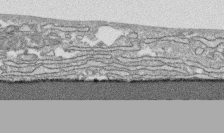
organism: Human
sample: CRL-1474